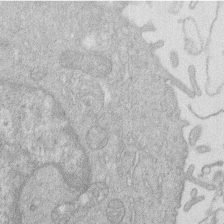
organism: Human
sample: Macrophage cells